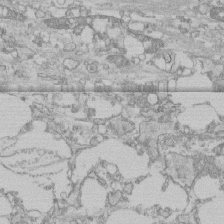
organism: Human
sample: CRL-1474